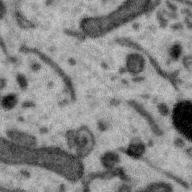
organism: Zebra finch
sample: Brain